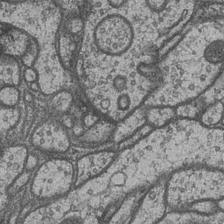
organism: Drosophila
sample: Optic medulla